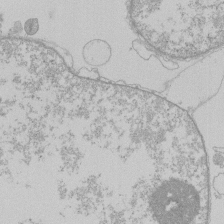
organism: Human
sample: Macrophage cells